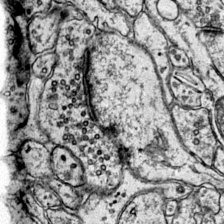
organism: Mouse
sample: Primary visual cortex